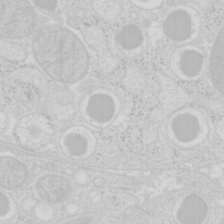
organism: Mouse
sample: Pancreas